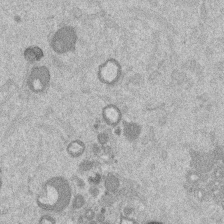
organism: Mouse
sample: Dividing mouse embryo 1 cell stage